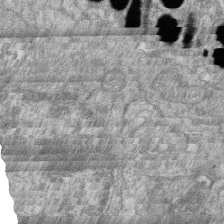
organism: Zebrafish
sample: Cilia; retinal pigment epithelium